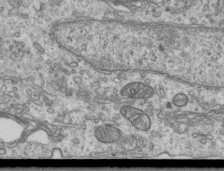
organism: Human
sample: Centriole in RPE cells